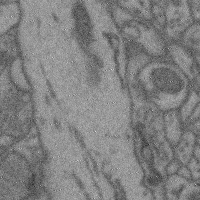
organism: Mouse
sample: Cerebral cortex